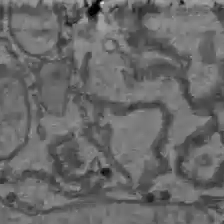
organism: C57BL Mouse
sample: Liver